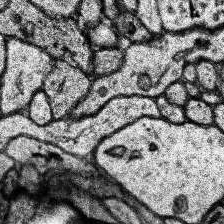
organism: Human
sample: Temporal Lobe